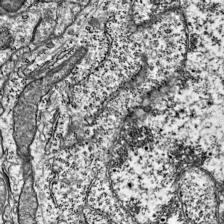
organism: Mouse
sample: Visual Cortex